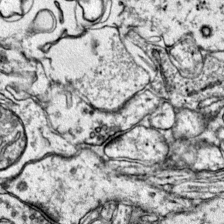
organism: Mouse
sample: Primary visual cortex